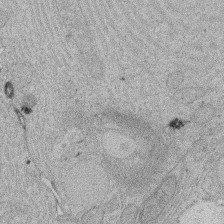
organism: Rat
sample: Salivary granule